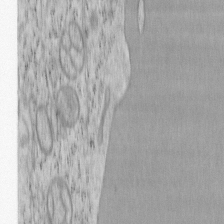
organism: Human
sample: HeLa cells